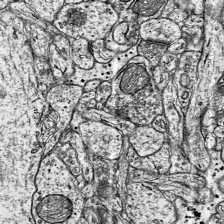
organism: Mouse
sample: Visual Cortex